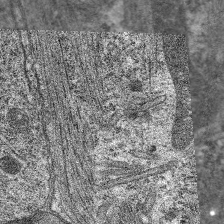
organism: C. elegans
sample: Pharynx